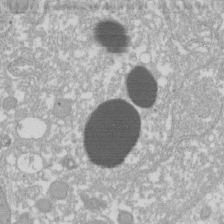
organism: Xenopus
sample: Cilia; centrioles in frog embryo cells